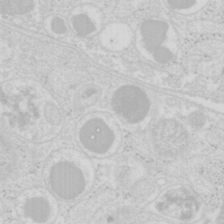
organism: Mouse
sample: Pancreas